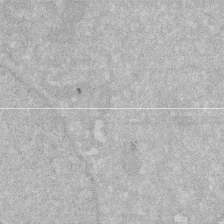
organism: Human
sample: HIV infected U937 cells